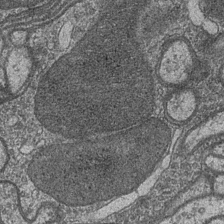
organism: Drosophila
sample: Optic medulla